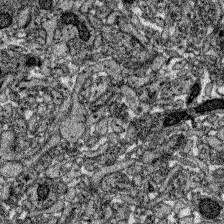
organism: Zebrafish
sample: Larval olfactory bulb